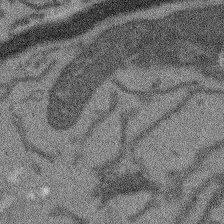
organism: Arabidopsis thaliana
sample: Root tip